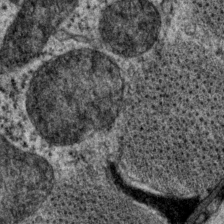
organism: P. pacificus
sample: Pharynx